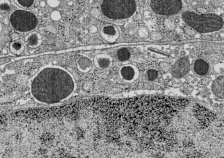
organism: C57BL Mouse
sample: Pancreatic islet